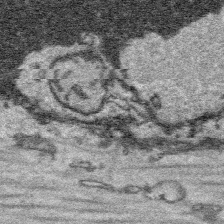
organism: Platynereis dumerilii